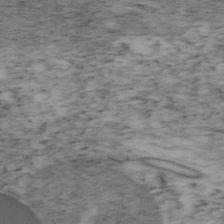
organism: Mouse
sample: OT-I killer T cells with ID8 ovarian cancer cells